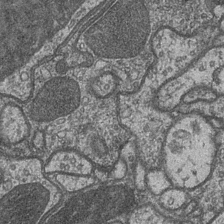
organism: Drosophila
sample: Optic medulla